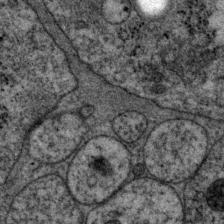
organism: P. pacificus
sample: Pharynx